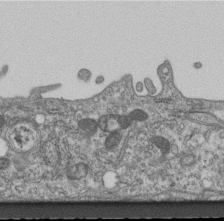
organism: Mouse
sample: Centriole in ependymal cells